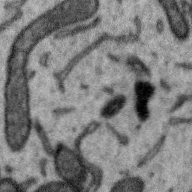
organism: Zebra finch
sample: Brain